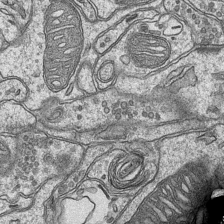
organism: Mouse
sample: CA1 Hippocampus